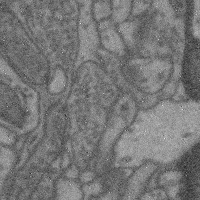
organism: Mouse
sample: Cerebral cortex